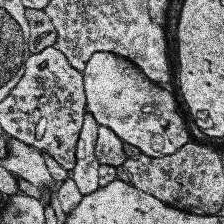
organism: Human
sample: Temporal Lobe